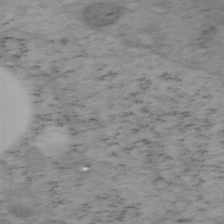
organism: Mouse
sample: OT-I killer T cells with ID8 ovarian cancer cells